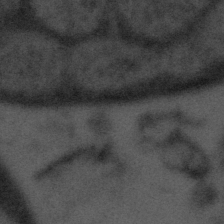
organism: Tuwongella immobilis